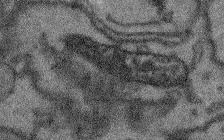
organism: Arabidopsis thaliana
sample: Root tip